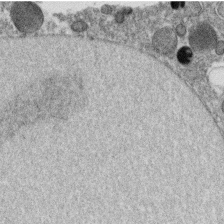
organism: C. elegans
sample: C. elegans oocyte; sperm cells